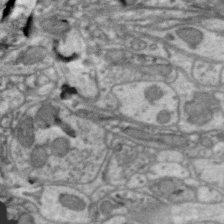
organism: Zebra finch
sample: Brain